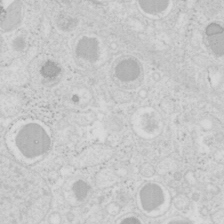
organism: Mouse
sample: Pancreas